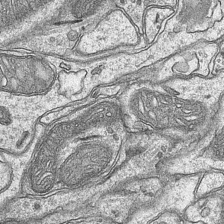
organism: Mouse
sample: CA1 Hippocampus